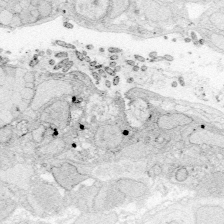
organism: Zebrafish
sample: Whole-Brain